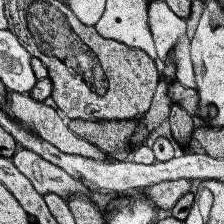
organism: Human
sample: Temporal Lobe